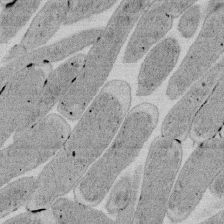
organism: E. coli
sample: Bacterial nucleoid